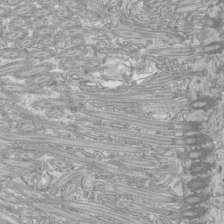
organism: Mouse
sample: Cilia; mouse epididymis